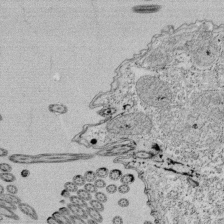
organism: Tetrahymena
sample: Cilia in tetrahymena